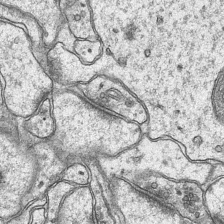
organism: Mouse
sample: CA1 Hippocampus